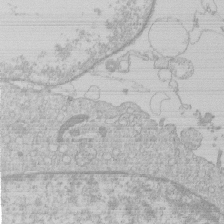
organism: Human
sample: Macrophage cells